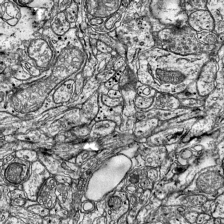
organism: Mouse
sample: Visual Cortex